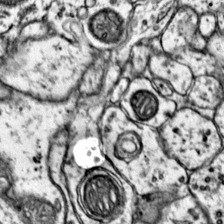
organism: Mouse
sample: Primary visual cortex